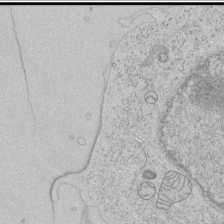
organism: Human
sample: Mitochondria in HCT116 cells